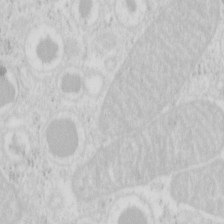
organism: Mouse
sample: Pancreas